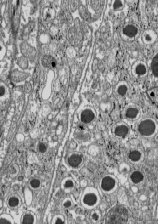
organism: C57BL Mouse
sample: Pancreatic islet